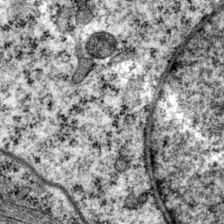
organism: P. pacificus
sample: Pharynx